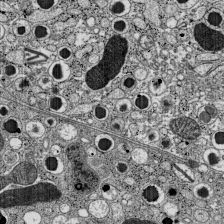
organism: C57BL Mouse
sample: Pancreatic islet